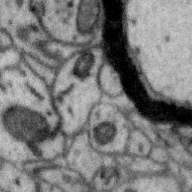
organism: Zebra finch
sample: Brain